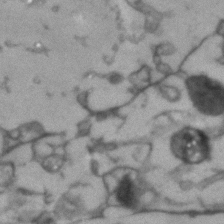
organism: Human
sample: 1205lu cells